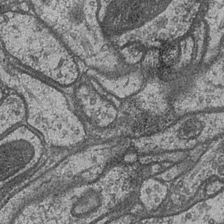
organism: Drosophila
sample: Optic medulla